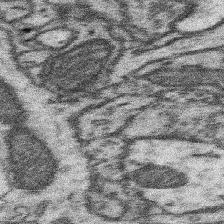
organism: Mouse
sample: Somatosensory cortex neuropil